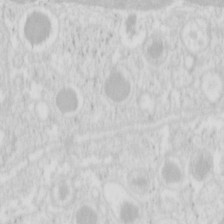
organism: Mouse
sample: Pancreas